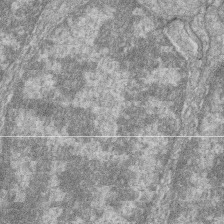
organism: Zebrafish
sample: Cilia; retinal pigment epithelium